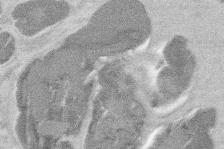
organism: Mouse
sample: T cell stromal cell synapse